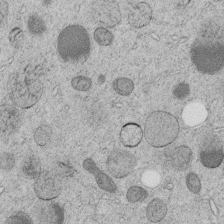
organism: C. elegans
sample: C. elegans embryo early stage